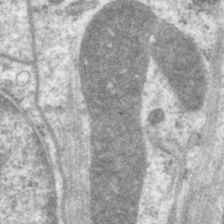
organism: P. pacificus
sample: Pharynx